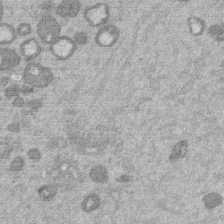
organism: Mouse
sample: Dividing mouse embryo 1 cell stage